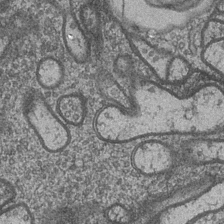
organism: Drosophila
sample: Optic medulla